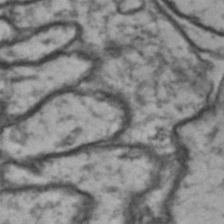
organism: Drosophila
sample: Brain